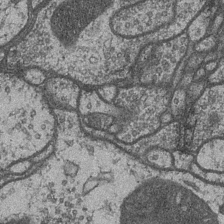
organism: Drosophila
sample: Optic medulla